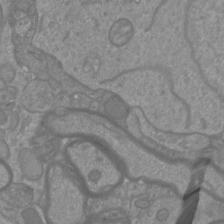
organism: Mouse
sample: Cortical neurons